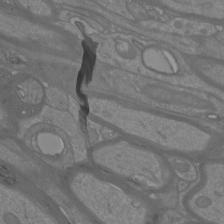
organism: Mouse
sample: Cortical neurons